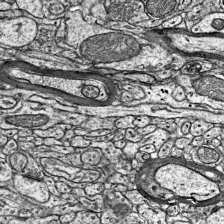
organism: Mouse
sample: Visual Cortex